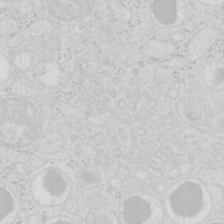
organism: Mouse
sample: Pancreas